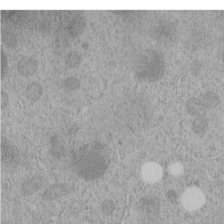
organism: C. elegans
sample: C. elegans embryo early stage